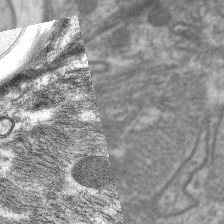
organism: C. elegans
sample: Pharynx